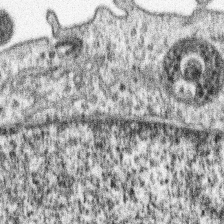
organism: Human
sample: HeLa cells